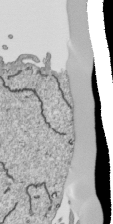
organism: Human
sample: Mitochondria in HCT116 cells